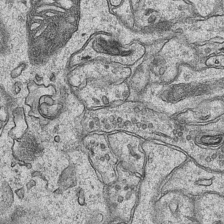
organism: Mouse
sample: CA1 Hippocampus